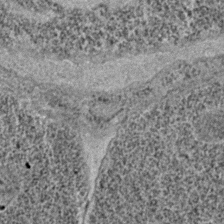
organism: C. elegans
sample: C. elegans embryo